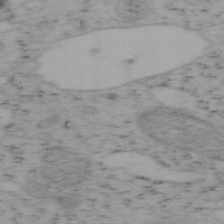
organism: Mouse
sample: OT-I killer T cells with ID8 ovarian cancer cells